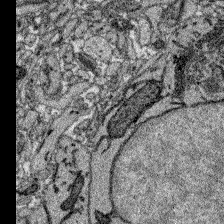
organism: Zebrafish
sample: Larval olfactory bulb